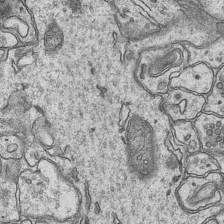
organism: Mouse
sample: CA1 Hippocampus